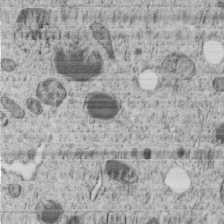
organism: C. elegans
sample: C. elegans embryo early stage